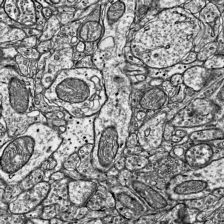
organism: Mouse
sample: Visual Cortex